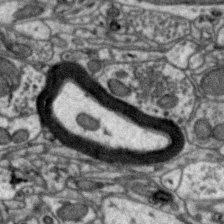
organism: Zebra finch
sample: Brain